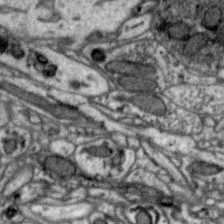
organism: Zebra finch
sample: Brain